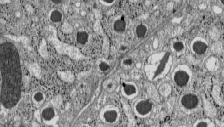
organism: C57BL Mouse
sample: Pancreatic islet